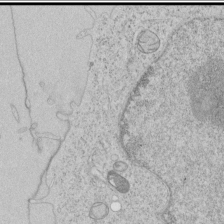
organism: Human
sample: Mitochondria in HCT116 cells